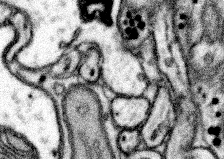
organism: Mouse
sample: Somatosensory cortex neuropil